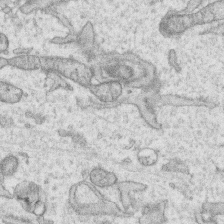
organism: Human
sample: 1205lu cells